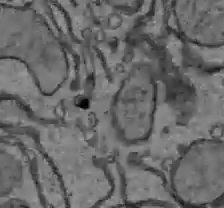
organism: C57BL Mouse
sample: Liver